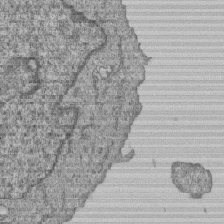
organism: Human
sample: MDA-MB-231 cells